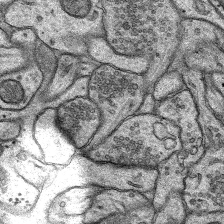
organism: Rat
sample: Hippocampus